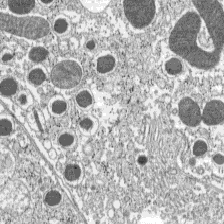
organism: C57BL Mouse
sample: Pancreatic islet